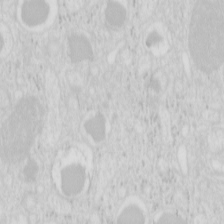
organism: Mouse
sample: Pancreas